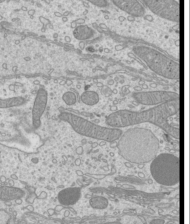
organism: Mouse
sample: Cilia; mouse epididymis